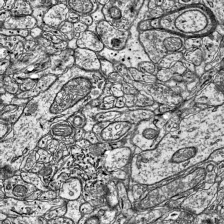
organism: Mouse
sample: Visual Cortex